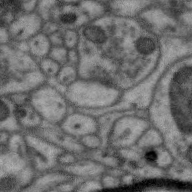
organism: Zebra finch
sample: Brain